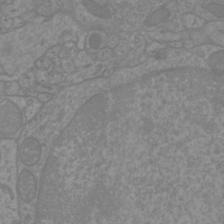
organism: Mouse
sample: Cortical neurons